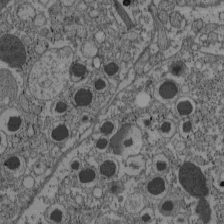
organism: C57BL Mouse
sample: Pancreatic islet